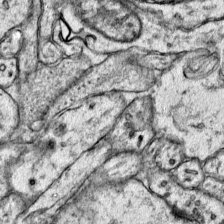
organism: Mouse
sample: Primary visual cortex